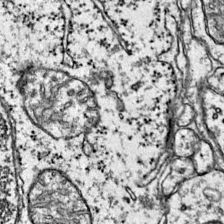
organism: Mouse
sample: Primary visual cortex